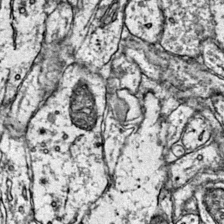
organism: Mouse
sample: Primary visual cortex